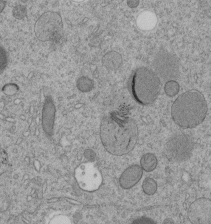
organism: C. elegans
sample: C. elegans embryo early stage